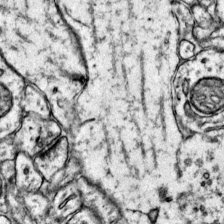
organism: Mouse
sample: Primary visual cortex